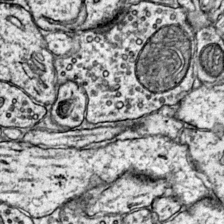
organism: Mouse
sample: Primary visual cortex